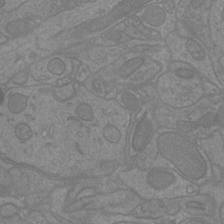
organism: Mouse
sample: Cortical neurons